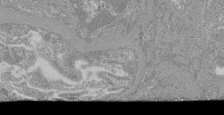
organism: Mouse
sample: Glomerulus